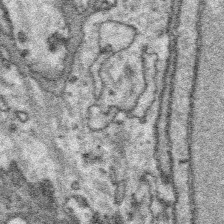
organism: Platynereis dumerilii